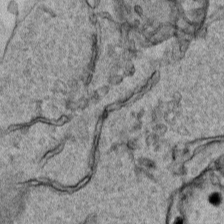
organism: Human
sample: Mitochondria in HCT116 cells